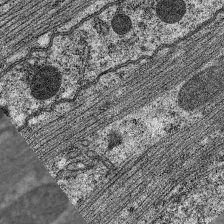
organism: C. elegans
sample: Pharynx